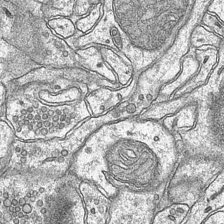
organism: Mouse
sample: CA1 Hippocampus